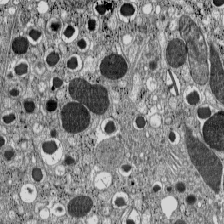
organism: C57BL Mouse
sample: Pancreatic islet